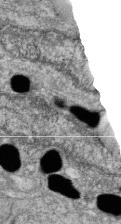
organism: Zebrafish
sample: Cilia; retinal pigment epithelium